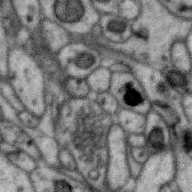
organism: Zebra finch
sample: Brain